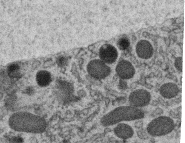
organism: C. elegans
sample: C. elegans oocyte; sperm cells